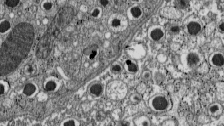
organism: C57BL Mouse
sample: Pancreatic islet